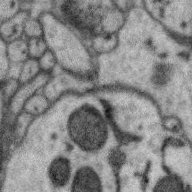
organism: Zebra finch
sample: Brain